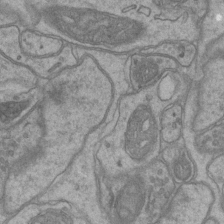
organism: Mouse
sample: CA1 Hippocampus